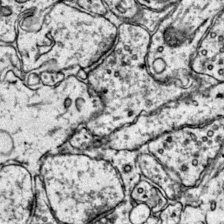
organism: Mouse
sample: Primary visual cortex